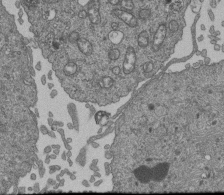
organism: Human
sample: Retinal organoid Rod and Cone cells